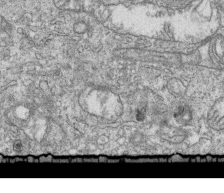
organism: Human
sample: HeLa cell HIV synapse